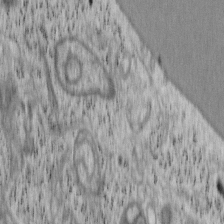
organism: Human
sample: HeLa cells